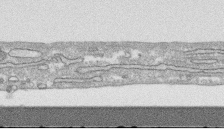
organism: Human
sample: CRL-1474